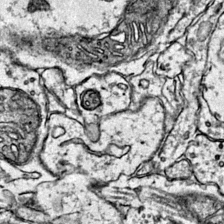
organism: Mouse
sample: Primary visual cortex